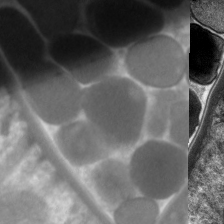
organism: C. elegans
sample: Pharynx